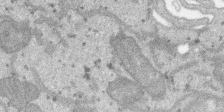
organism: Human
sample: Lung epithelial cells infected with SARS-CoV-2